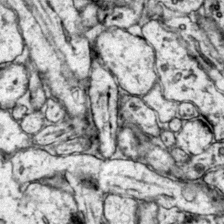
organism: Mouse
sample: Primary visual cortex